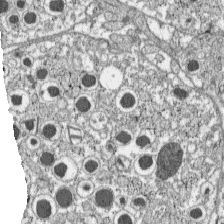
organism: C57BL Mouse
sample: Pancreatic islet